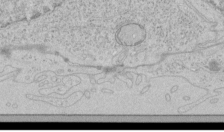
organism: Human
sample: Mitochondria in HCT116 cells